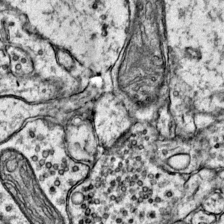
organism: Mouse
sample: Primary visual cortex